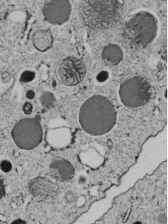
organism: C. elegans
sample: C. elegans embryo early stage